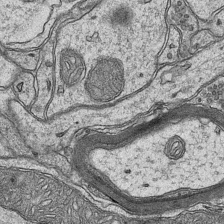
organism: Mouse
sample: CA1 Hippocampus